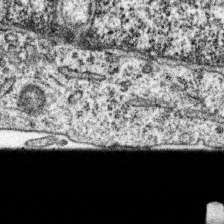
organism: Human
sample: HeLa cells